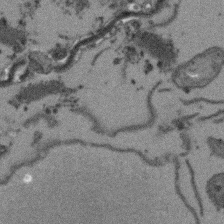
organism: Arabidopsis thaliana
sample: Root tip